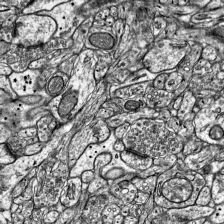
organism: Mouse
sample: Visual Cortex